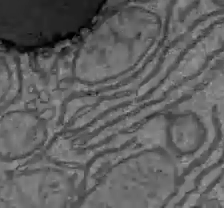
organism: C57BL Mouse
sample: Liver